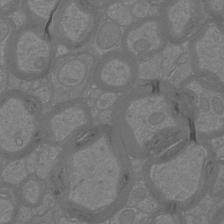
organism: Mouse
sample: Cortical neurons